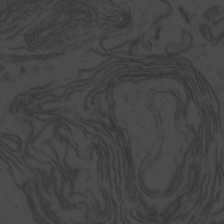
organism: Zebrafish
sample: Macrophage infected with Toxoplasma gondii